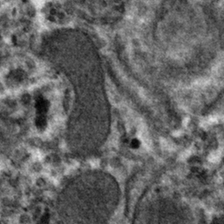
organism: Mouse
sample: Mouse hepatocytes